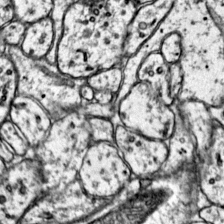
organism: Mouse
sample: Primary visual cortex